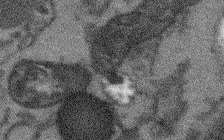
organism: Arabidopsis thaliana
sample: Root tip